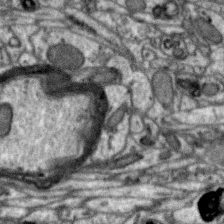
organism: Zebra finch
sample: Brain